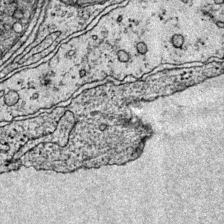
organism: Mouse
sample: Primary visual cortex